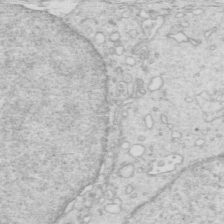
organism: Mouse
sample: Multiciliated cells